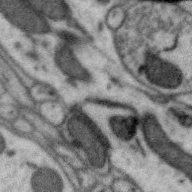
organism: Zebra finch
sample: Brain